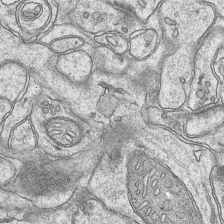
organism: Mouse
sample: CA1 Hippocampus